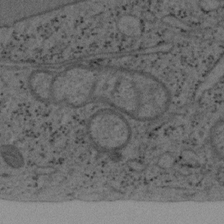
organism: Human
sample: HeLa cells